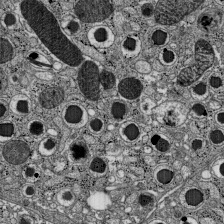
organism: C57BL Mouse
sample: Pancreatic islet